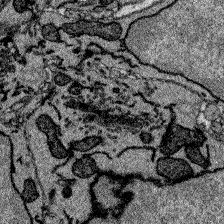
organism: Zebrafish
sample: Larval olfactory bulb